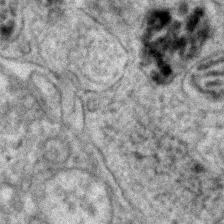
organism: Human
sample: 1205lu cells